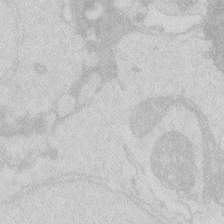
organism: Zebrafish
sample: Macrophage